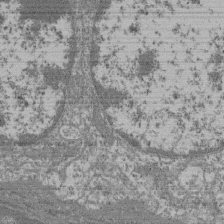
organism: Mouse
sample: Glomerulus